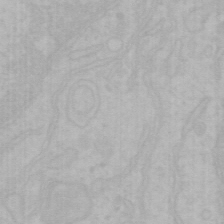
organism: Mouse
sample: Choroid plexus